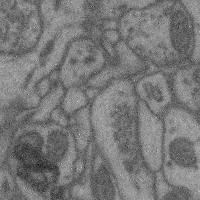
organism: Mouse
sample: Cerebral cortex